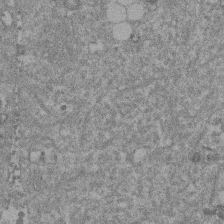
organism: Mouse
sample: Dividing mouse embryo 1 cell stage